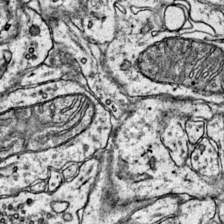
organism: Mouse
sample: Primary visual cortex